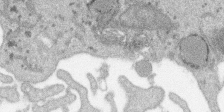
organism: Human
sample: Lung epithelial cells infected with SARS-CoV-2